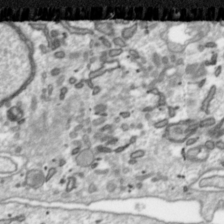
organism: Toxoplasma gondii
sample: Parasites in a vacuole inside a host cell